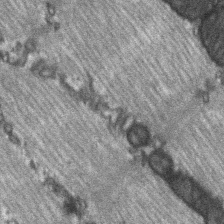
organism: C57BL Mouse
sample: Soleus